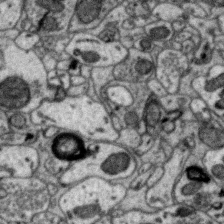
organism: Zebra finch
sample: Brain